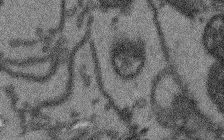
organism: Arabidopsis thaliana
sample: Root tip